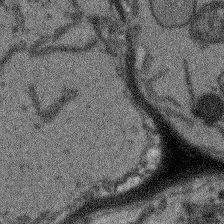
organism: Arabidopsis thaliana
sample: Root tip